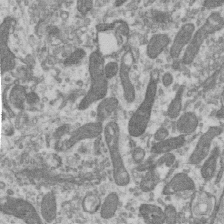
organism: Human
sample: Centriole in RPE cells